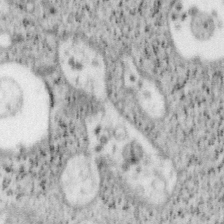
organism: Mouse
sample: OT-I killer T cells with ID8 ovarian cancer cells